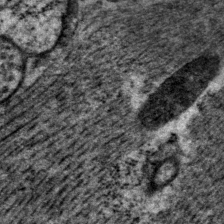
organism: P. pacificus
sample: Pharynx